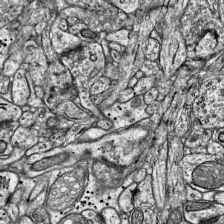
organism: Mouse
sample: Visual Cortex